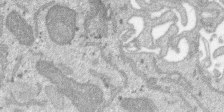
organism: Human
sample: Lung epithelial cells infected with SARS-CoV-2